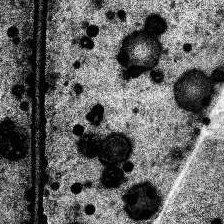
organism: Human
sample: Temporal Lobe